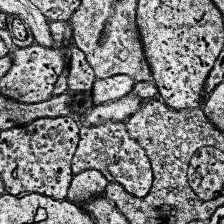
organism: Human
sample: Temporal Lobe